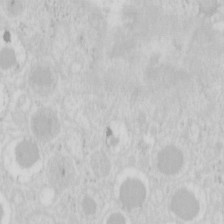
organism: Mouse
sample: Pancreas